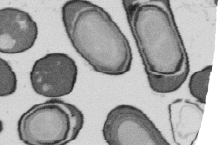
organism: B. subtilis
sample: Bacterial spore